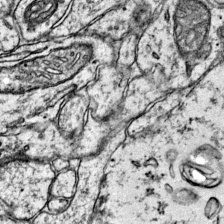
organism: Mouse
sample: Primary visual cortex